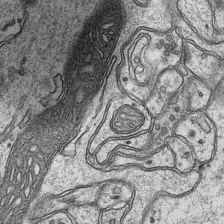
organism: Mouse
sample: CA1 Hippocampus